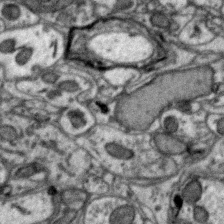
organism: Zebra finch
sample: Brain